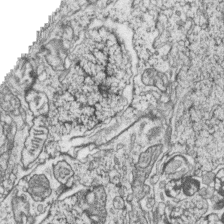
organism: Zebrafish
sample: synaptic ribbons in rod cells and cone cells